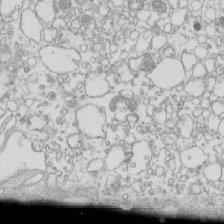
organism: Mouse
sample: Macrophages